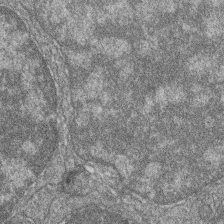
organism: Zebrafish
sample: Cilia; retinal pigment epithelium